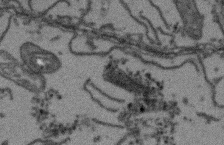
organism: Arabidopsis thaliana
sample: Root tip